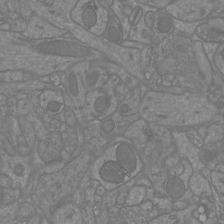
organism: Mouse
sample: Cortical neurons